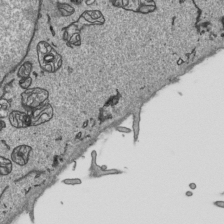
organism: Human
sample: Mitochondria in HCT116 cells